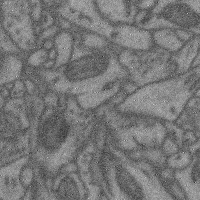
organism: Mouse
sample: Cerebral cortex